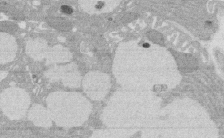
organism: Rat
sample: Salivary granule